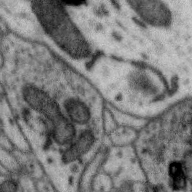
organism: Zebra finch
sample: Brain